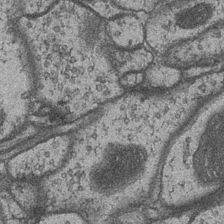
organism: Drosophila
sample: Optic medulla